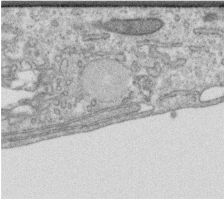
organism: Human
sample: Centriole in RPE cells